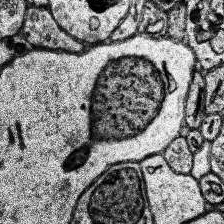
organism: Human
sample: Temporal Lobe